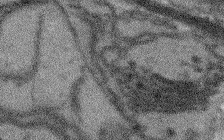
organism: Arabidopsis thaliana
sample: Root tip